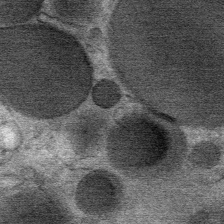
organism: Mouse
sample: Mouse Salivary gland